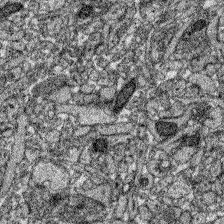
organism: Zebrafish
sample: Larval olfactory bulb